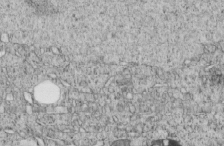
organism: C. elegans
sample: C. elegans embryo early stage